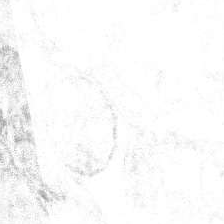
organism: Human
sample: Temporal Lobe